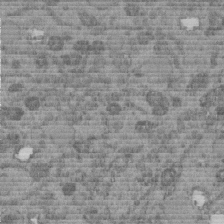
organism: C. elegans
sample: C. elegans embryo early stage